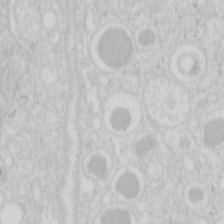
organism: Mouse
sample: Pancreas